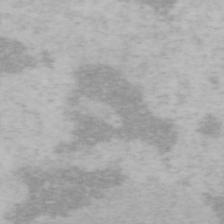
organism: Mouse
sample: OT-I killer T cells with ID8 ovarian cancer cells